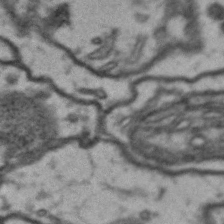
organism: Drosophila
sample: Brain